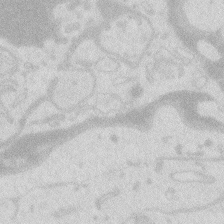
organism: Zebrafish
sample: Macrophage